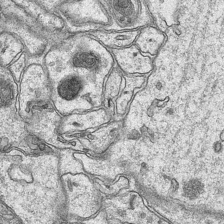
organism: Mouse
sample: CA1 Hippocampus